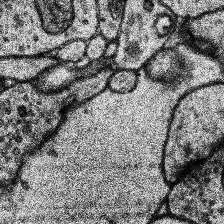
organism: Human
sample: Temporal Lobe